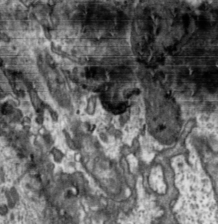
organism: Toxoplasma gondii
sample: Parasites in a vacuole inside a host cell